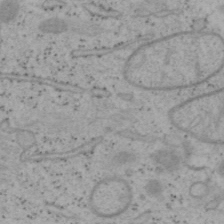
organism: Human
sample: HeLa cells